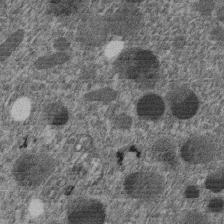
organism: C. elegans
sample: C. elegans embryo early stage